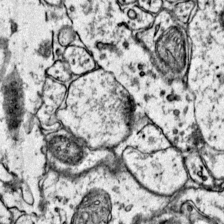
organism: Mouse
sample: Primary visual cortex